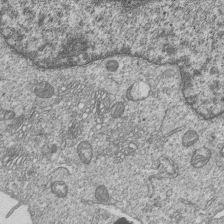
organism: Human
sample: MDA-MB-231 cells